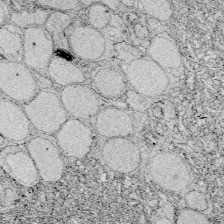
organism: Zebrafish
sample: Whole-Brain